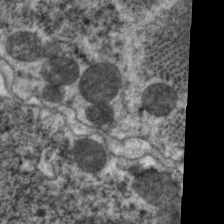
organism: C. elegans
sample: Pharynx